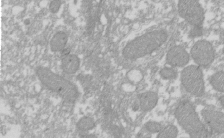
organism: Xenopus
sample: Cilia; centrioles in frog embryo cells